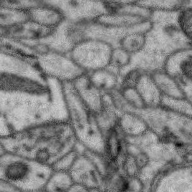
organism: Zebra finch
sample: Brain